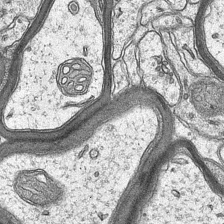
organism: Mouse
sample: CA1 Hippocampus